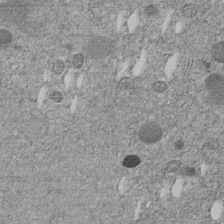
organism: C. elegans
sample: C. elegans embryo early stage